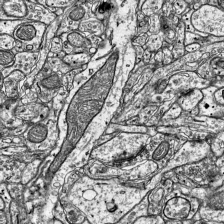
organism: Mouse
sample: Visual Cortex